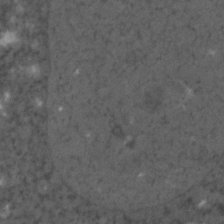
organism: C. elegans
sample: C. elegans embryo